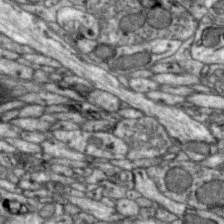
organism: Zebra finch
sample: Brain